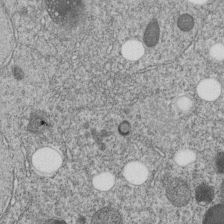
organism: C. elegans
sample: C. elegans embryo early stage